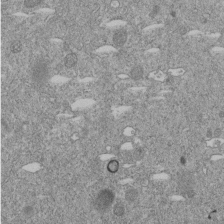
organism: C. elegans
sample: C. elegans embryo early stage